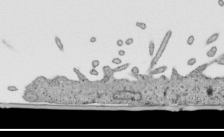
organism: Human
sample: Mitochondria in HCT116 cells